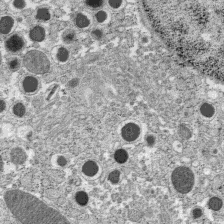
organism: C57BL Mouse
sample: Pancreatic islet